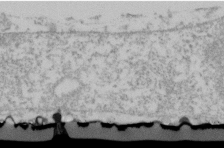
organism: Human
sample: U2-OS cells